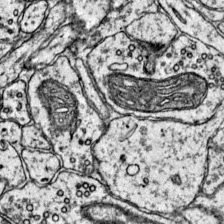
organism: Mouse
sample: Primary visual cortex